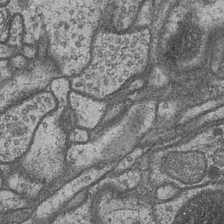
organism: Drosophila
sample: Optic medulla